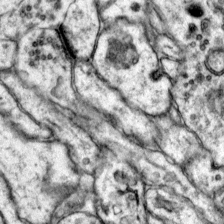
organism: Mouse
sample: Primary visual cortex